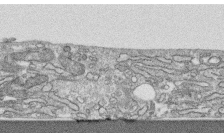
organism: Human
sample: CRL-1474